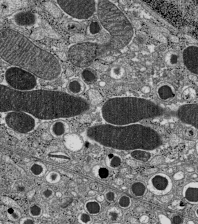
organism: C57BL Mouse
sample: Pancreatic islet